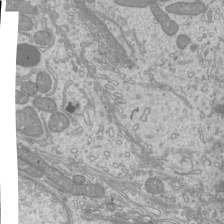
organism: Mouse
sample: Cilia; mouse epididymis